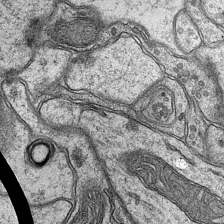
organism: Mouse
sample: CA1 Hippocampus